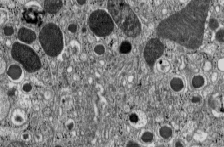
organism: C57BL Mouse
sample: Pancreatic islet